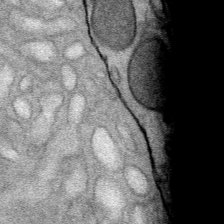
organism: Mouse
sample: Mouse Salivary gland